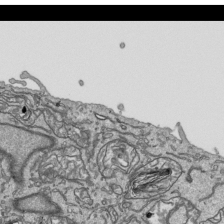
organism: Human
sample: Mitochondria in HCT116 cells